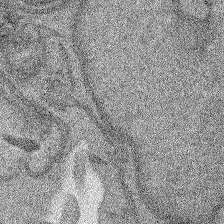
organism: Human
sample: HeLa cells